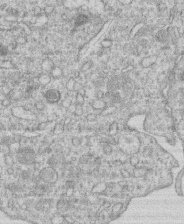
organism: Human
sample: Macrophage cells